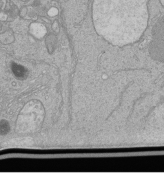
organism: Human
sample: Retinal organoid Rod and Cone cells